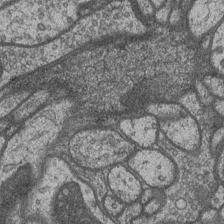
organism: Drosophila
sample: Optic medulla